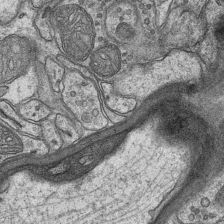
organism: Mouse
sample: CA1 Hippocampus